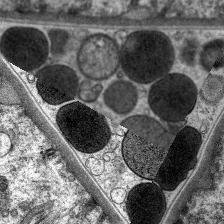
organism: C. elegans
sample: Pharynx